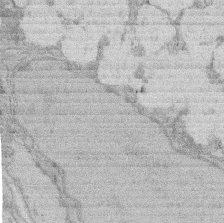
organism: Rat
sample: Salivary granule